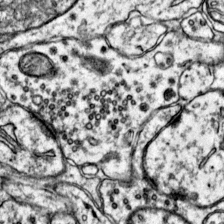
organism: Mouse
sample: Primary visual cortex